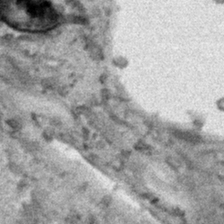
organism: Human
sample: Mitochondria in HCT116 cells